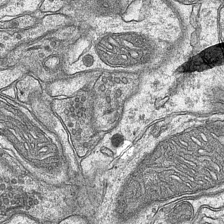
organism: Mouse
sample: CA1 Hippocampus